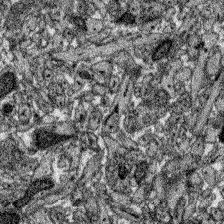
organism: Zebrafish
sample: Larval olfactory bulb